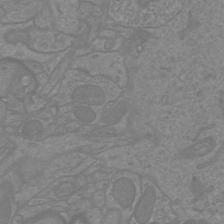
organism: Mouse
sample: Cortical neurons